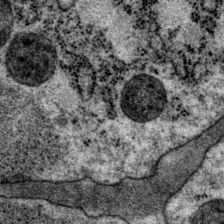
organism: P. pacificus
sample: Pharynx